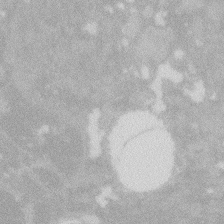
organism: Zebrafish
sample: Macrophage